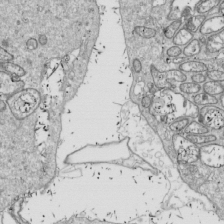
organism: Drosophila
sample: Cell division; meiosis; drosophila spermatocytes